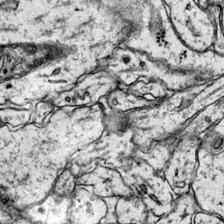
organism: Mouse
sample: Primary visual cortex